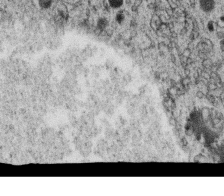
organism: C. elegans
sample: C. elegans oocyte; sperm cells